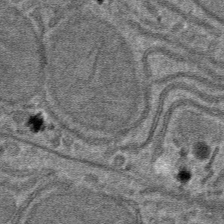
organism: Mouse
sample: Mouse hepatocytes